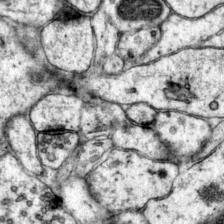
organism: Mouse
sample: Primary visual cortex